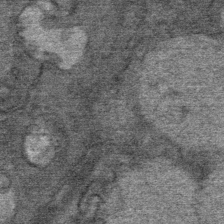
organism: Mouse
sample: Mouse Salivary gland